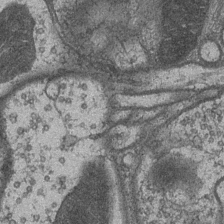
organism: Drosophila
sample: Optic medulla